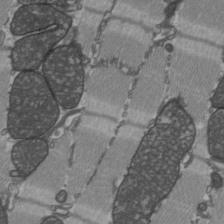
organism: C57BL Mouse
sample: Heart